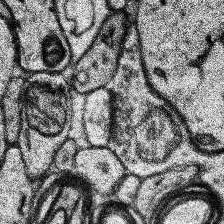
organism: Human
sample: Temporal Lobe